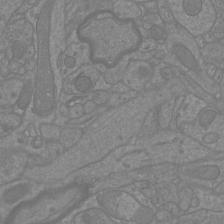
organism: Mouse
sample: Cortical neurons